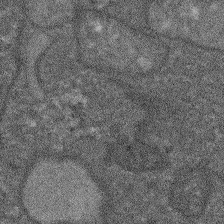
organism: Arabidopsis thaliana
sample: Root tip